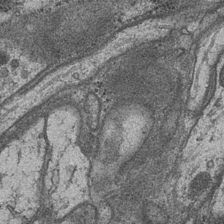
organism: Drosophila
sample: Optic medulla